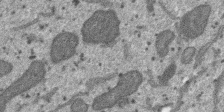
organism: Human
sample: Lung epithelial cells infected with SARS-CoV-2